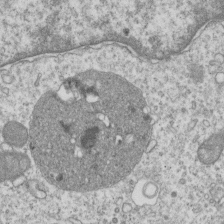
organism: Human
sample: MDA-MB-231 cells